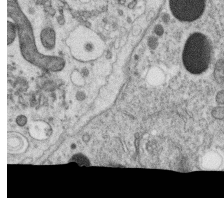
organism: C. elegans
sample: C. elegans oocyte; sperm cells